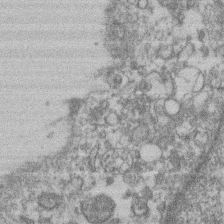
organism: Mouse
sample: T cell stromal cell synapse